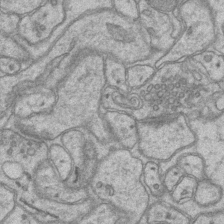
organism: Mouse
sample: CA1 Hippocampus